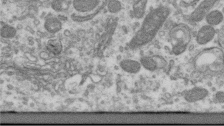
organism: Human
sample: Centriole in RPE cells